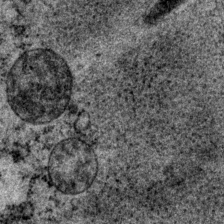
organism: P. pacificus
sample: Pharynx